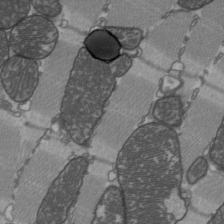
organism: C57BL Mouse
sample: Heart